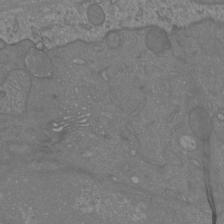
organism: Mouse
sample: Cortical neurons